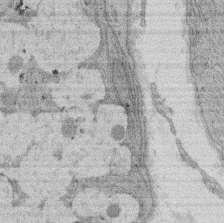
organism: Rat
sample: Salivary granule